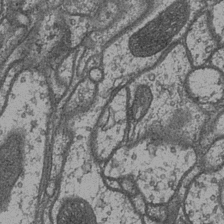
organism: Drosophila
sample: Optic medulla